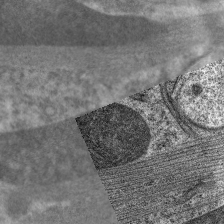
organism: C. elegans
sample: Pharynx